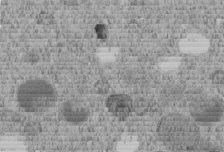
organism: C. elegans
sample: C. elegans embryo early stage